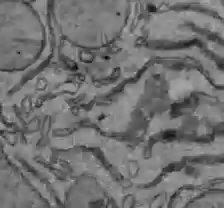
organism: C57BL Mouse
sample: Liver